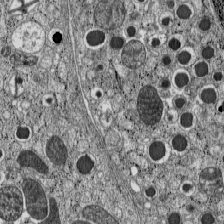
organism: C57BL Mouse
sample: Pancreatic islet